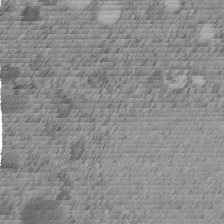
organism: C. elegans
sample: C. elegans embryo early stage